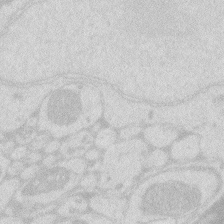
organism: Zebrafish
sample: Macrophage